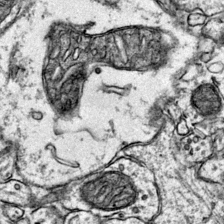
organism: Mouse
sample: Primary visual cortex